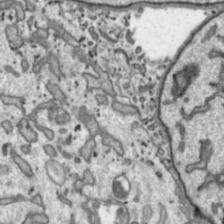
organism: Toxoplasma gondii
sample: Parasites in a vacuole inside a host cell